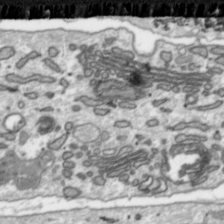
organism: Toxoplasma gondii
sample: Parasites in a vacuole inside a host cell